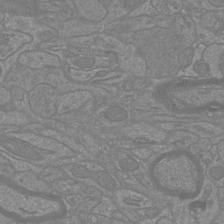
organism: Mouse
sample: Cortical neurons